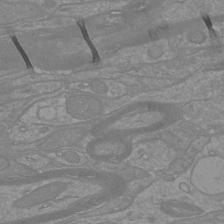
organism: Mouse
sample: Cortical neurons